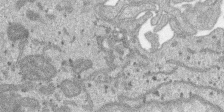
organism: Human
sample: Lung epithelial cells infected with SARS-CoV-2